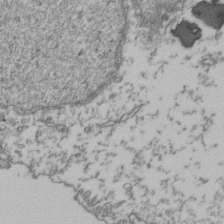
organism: Human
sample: Activated Jurkat CD4+ T cells